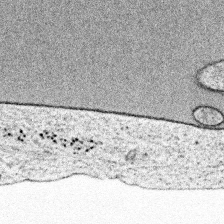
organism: Human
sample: HeLa cells